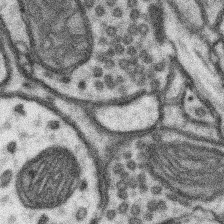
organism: Mouse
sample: Somatosensory cortex neuropil